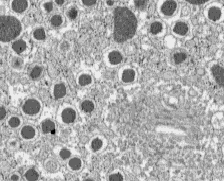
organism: C57BL Mouse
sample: Pancreatic islet